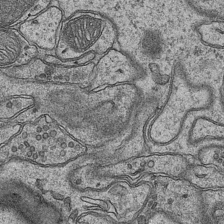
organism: Mouse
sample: CA1 Hippocampus